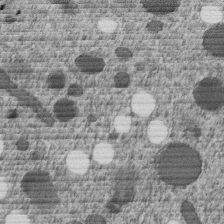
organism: C. elegans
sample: C. elegans embryo early stage